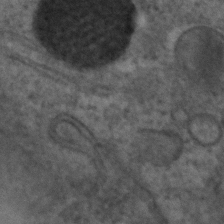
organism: C. elegans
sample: C. elegans embryo